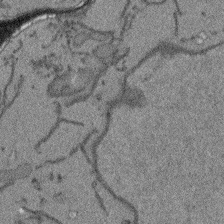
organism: Arabidopsis thaliana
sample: Root tip